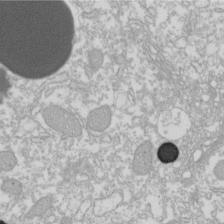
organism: Xenopus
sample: Cilia; centrioles in frog embryo cells